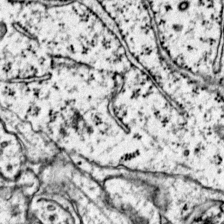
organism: Mouse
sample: Primary visual cortex